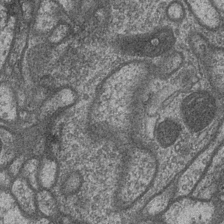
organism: Drosophila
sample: Optic medulla